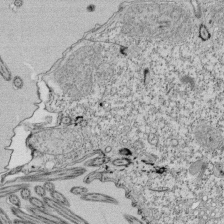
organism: Tetrahymena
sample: Cilia in tetrahymena